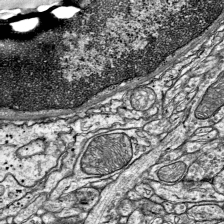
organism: Mouse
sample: Visual Cortex